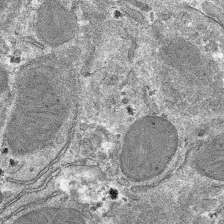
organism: Mouse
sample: Mouse hepatocytes